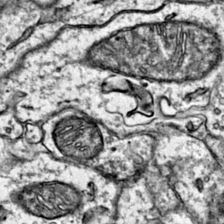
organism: Mouse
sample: Primary visual cortex